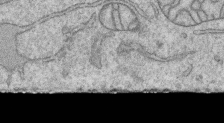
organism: Human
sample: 1205lu cells